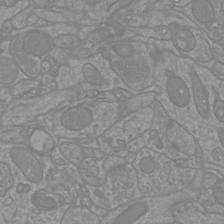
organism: Mouse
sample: Cortical neurons